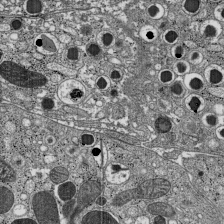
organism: C57BL Mouse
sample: Pancreatic islet